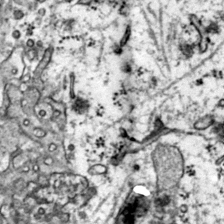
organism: Mouse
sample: Primary visual cortex